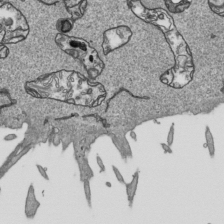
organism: Human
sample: Mitochondria in HCT116 cells